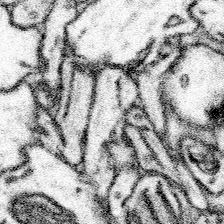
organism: Mouse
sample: Somatosensory cortex neuropil